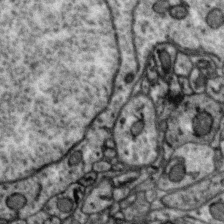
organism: Zebra finch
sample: Brain